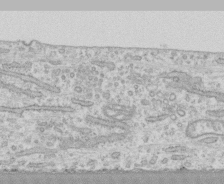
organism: Human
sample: CRL-1474